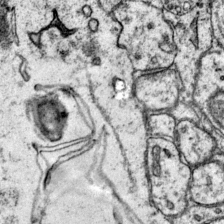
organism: Mouse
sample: Primary visual cortex